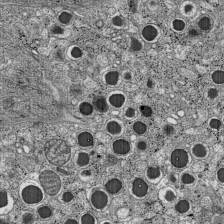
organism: C57BL Mouse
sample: Pancreatic islet